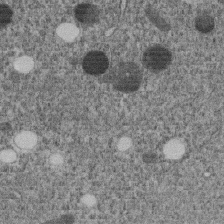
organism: C. elegans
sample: C. elegans embryo early stage